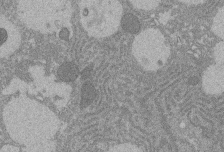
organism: Rat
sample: Salivary granule